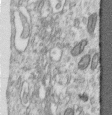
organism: Human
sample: Centriole in RPE cells